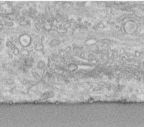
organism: Human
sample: Centriole in fibroblast cells